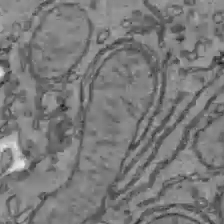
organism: C57BL Mouse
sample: Liver